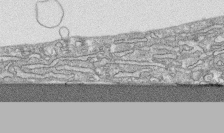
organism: Human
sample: CRL-1474